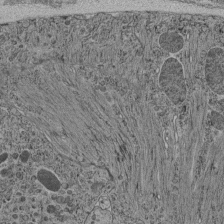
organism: C. elegans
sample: C. elegans pharynx